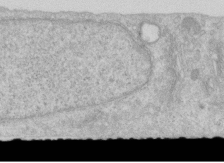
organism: Human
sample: Centriole in RPE cells